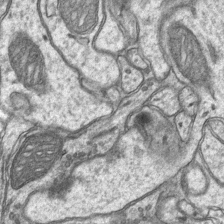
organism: Mouse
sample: CA1 Hippocampus